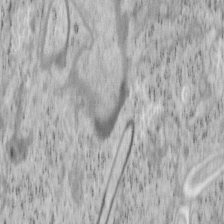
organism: Human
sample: HeLa cells